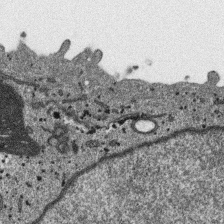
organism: Human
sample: Lung epithelial cells infected with SARS-CoV-2